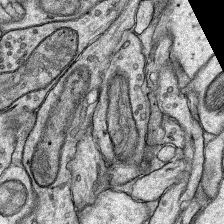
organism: Rat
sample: Hippocampus